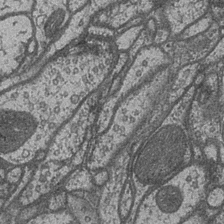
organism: Drosophila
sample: Optic medulla